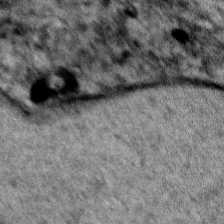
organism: Human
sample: Mitochondria in HCT116 cells